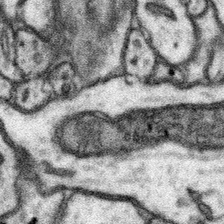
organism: Mouse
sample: Somatosensory cortex neuropil